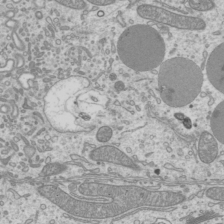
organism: Mouse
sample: Cilia; mouse epididymis